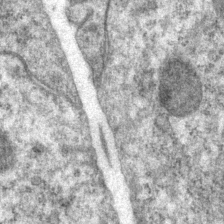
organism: P. pacificus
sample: Pharynx